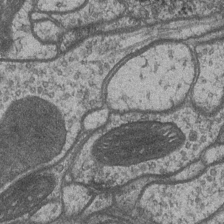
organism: Drosophila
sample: Optic medulla